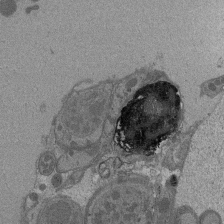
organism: Drosophila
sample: Antenna